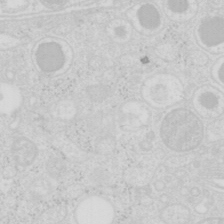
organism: Mouse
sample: Pancreas